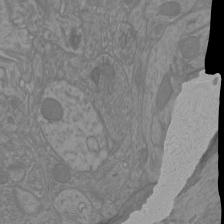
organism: Mouse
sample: Cortical neurons